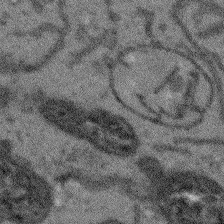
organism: Arabidopsis thaliana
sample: Root tip